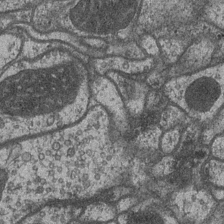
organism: Drosophila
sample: Optic medulla